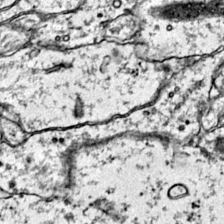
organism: Mouse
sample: Primary visual cortex